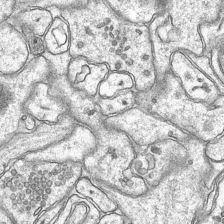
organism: Mouse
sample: CA1 Hippocampus